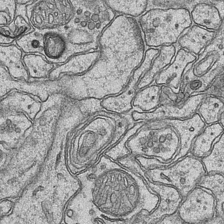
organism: Mouse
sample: CA1 Hippocampus